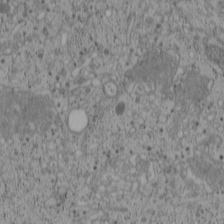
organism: African green monkey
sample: COS-7 cells